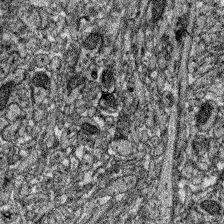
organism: Zebrafish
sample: Larval olfactory bulb